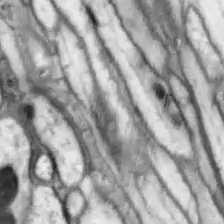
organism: Drosophila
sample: Optic lobe